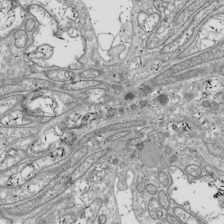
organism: Drosophila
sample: Cell division; meiosis; drosophila spermatocytes